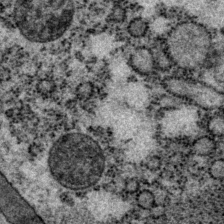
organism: P. pacificus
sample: Pharynx